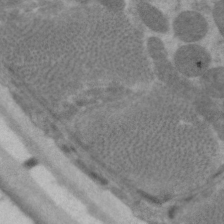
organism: C. elegans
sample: Pharynx